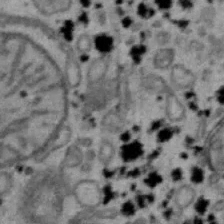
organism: Mouse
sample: Liver